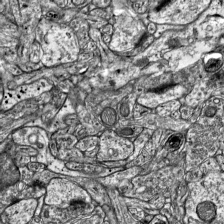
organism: Mouse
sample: Visual Cortex